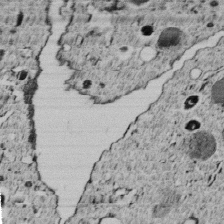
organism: C. elegans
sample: C. elegans embryo early stage